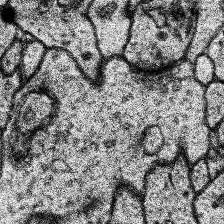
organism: Human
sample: Temporal Lobe